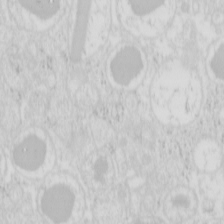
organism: Mouse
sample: Pancreas